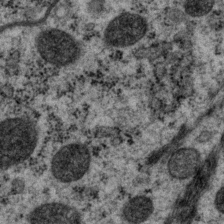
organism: P. pacificus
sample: Pharynx